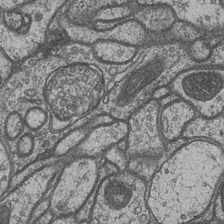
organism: Drosophila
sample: Optic medulla